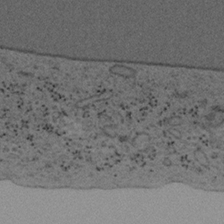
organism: Human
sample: HeLa cells